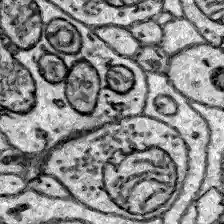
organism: Zebrafish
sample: Brain